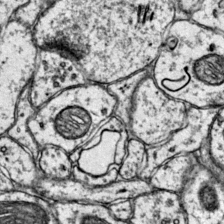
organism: Mouse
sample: Primary visual cortex